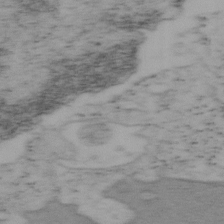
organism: Mouse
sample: OT-I killer T cells with ID8 ovarian cancer cells